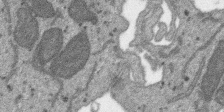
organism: Human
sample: Lung epithelial cells infected with SARS-CoV-2